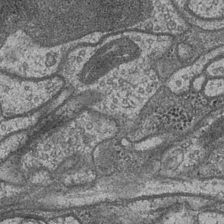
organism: Drosophila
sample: Optic medulla